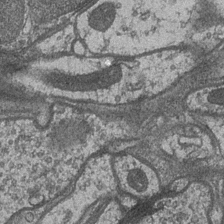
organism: Drosophila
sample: Optic medulla